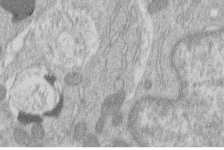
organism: Human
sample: Macrophage cells